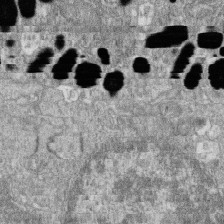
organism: Zebrafish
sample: Cilia; retinal pigment epithelium